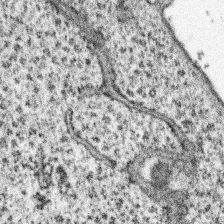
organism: Human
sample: HeLa cells